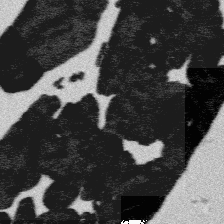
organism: Platynereis dumerilii